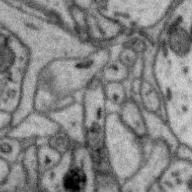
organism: Zebra finch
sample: Brain